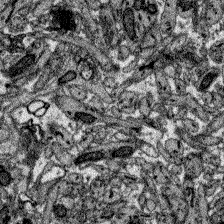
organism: Zebrafish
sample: Larval olfactory bulb